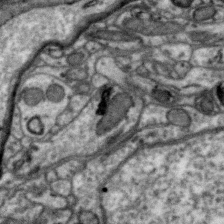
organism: Zebra finch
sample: Brain